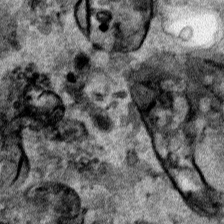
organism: Human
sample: Mitochondria in HCT116 cells